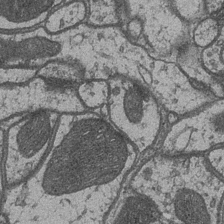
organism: Drosophila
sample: Optic medulla